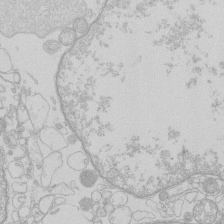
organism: Human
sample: Macrophage cells